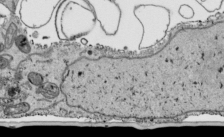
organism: Human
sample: Mitochondria in HCT116 cells